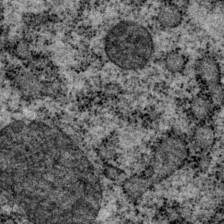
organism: P. pacificus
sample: Pharynx